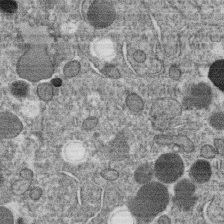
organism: C. elegans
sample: C. elegans oocyte; sperm cells